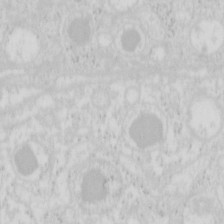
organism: Mouse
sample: Pancreas